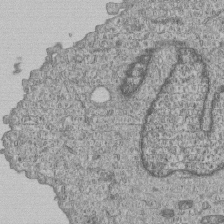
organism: Human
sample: MDA-MB-231 cells